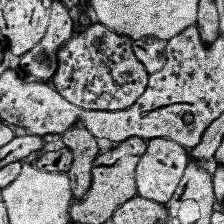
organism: Human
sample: Temporal Lobe